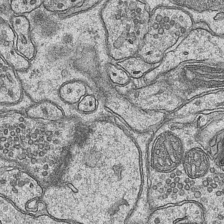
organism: Mouse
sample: CA1 Hippocampus